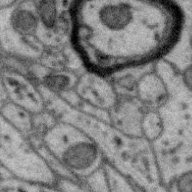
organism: Zebra finch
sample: Brain